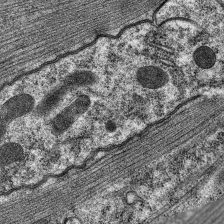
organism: C. elegans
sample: Pharynx